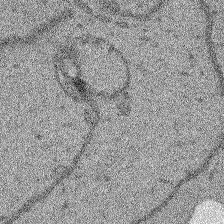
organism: Human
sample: HeLa cells